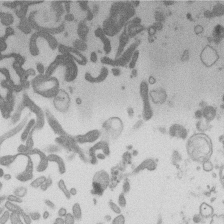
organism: Mouse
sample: Dividing mouse embryo 1 cell stage